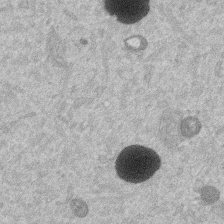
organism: Mouse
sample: Dividing mouse embryo 1 cell stage